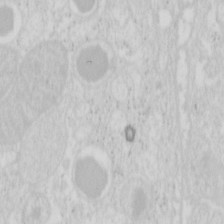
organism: Mouse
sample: Pancreas